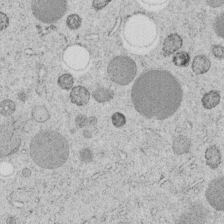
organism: C. elegans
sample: C. elegans embryo early stage